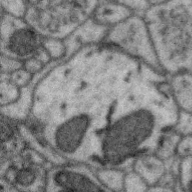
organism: Zebra finch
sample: Brain